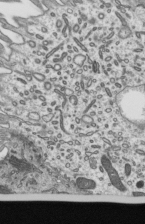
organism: Mouse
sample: Mouse epididymis efferent ductule cilia